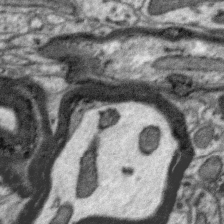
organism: Zebra finch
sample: Brain